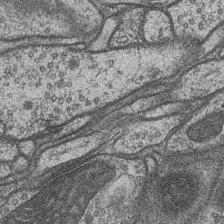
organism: Drosophila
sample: Optic medulla